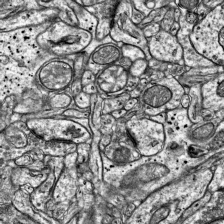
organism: Mouse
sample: Visual Cortex